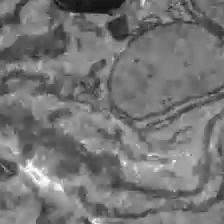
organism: C57BL Mouse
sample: Liver